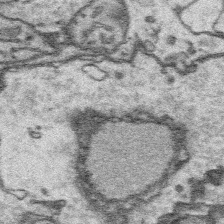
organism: Platynereis dumerilii